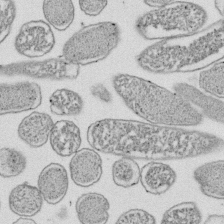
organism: E. coli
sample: Bacterial nucleoid